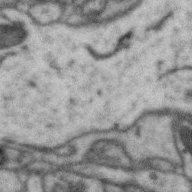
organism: Zebra finch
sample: Brain